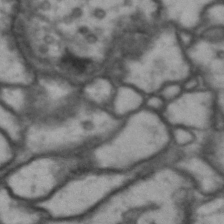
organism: Drosophila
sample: Brain